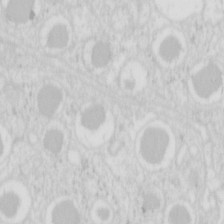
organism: Mouse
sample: Pancreas